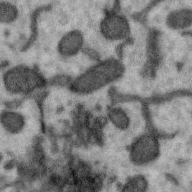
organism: Zebra finch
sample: Brain